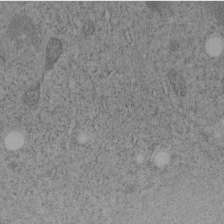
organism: C. elegans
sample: C. elegans embryo early stage